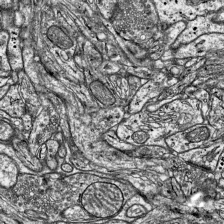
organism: Mouse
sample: Visual Cortex